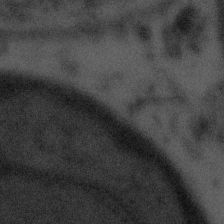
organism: Tuwongella immobilis